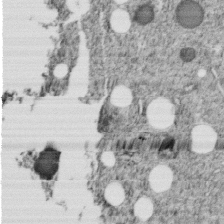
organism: C. elegans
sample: C. elegans embryo early stage